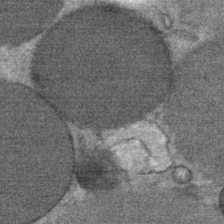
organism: Mouse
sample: Mouse Salivary gland